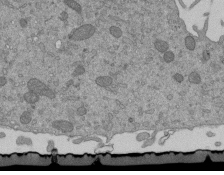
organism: Mouse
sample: ED-1 cell nuclei; centrioles